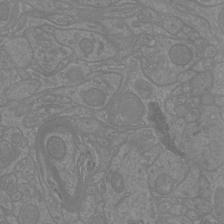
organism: Mouse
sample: Cortical neurons